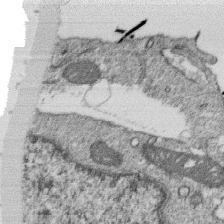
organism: African green monkey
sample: Vero E6 cells infected with SARS-CoV-2